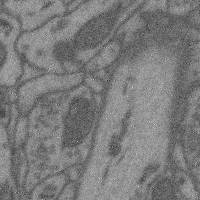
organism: Mouse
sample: Cerebral cortex